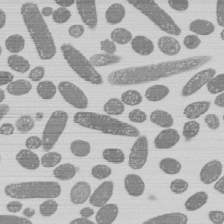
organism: E. coli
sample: Bacterial nucleoid